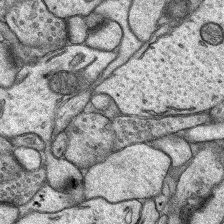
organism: Rat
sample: Hippocampus